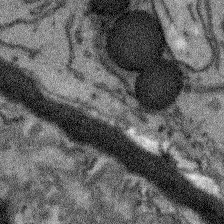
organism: Arabidopsis thaliana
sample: Root tip